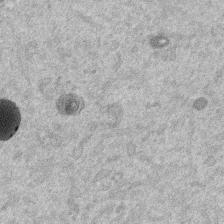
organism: Mouse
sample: Dividing mouse embryo 1 cell stage